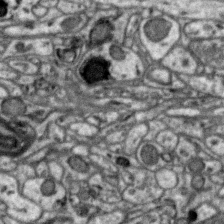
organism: Zebra finch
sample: Brain